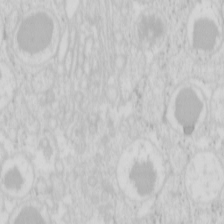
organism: Mouse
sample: Pancreas